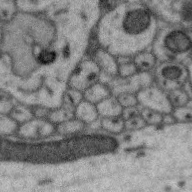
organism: Zebra finch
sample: Brain